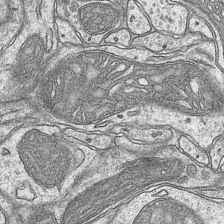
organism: Mouse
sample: CA1 Hippocampus